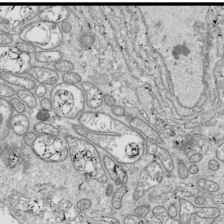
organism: Drosophila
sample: Cell division; meiosis; drosophila spermatocytes